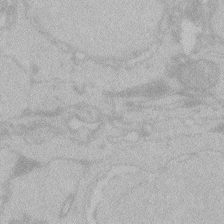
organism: Zebrafish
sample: Macrophage infected with Toxoplasma gondii